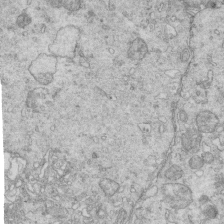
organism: Mouse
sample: Multiciliated cells